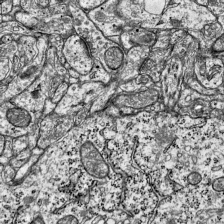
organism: Mouse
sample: Visual Cortex